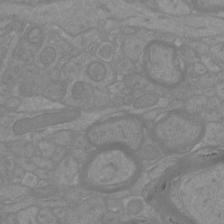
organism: Mouse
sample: Cortical neurons